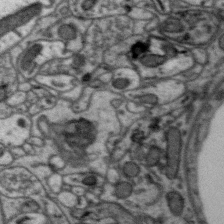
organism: Zebra finch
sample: Brain